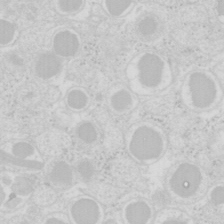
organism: Mouse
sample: Pancreas